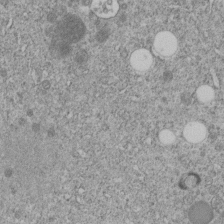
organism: C. elegans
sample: C. elegans embryo early stage